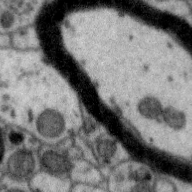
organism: Zebra finch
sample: Brain